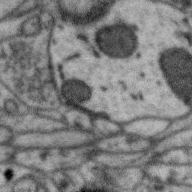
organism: Zebra finch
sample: Brain